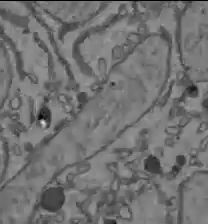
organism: C57BL Mouse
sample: Liver